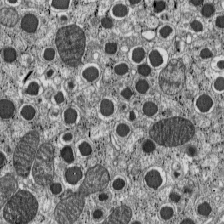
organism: C57BL Mouse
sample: Pancreatic islet